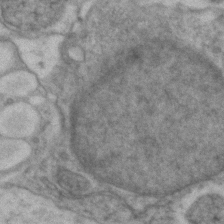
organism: Zebrafish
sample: Zebrafish embryo